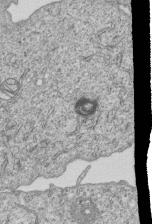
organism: Human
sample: MDA-MB-231 cells